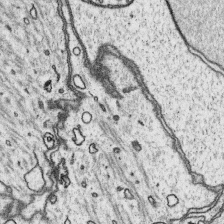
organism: Platynereis dumerilii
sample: Parapodia